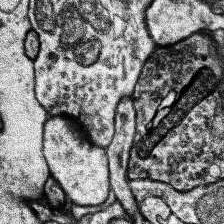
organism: Human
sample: Temporal Lobe